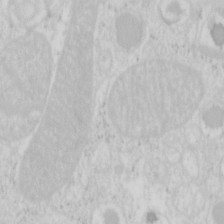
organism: Mouse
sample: Pancreas